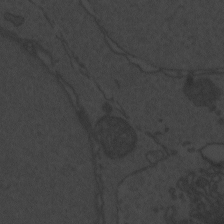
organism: Zebrafish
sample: Macrophage infected with Toxoplasma gondii